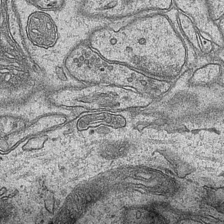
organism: Mouse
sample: CA1 Hippocampus